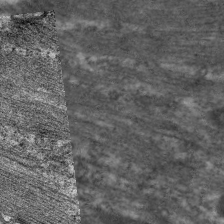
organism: C. elegans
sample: Pharynx